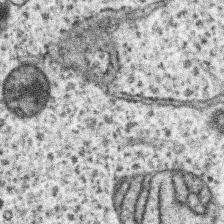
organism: Human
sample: HeLa cells